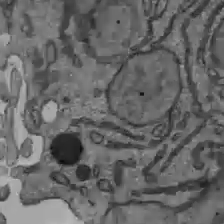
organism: C57BL Mouse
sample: Liver